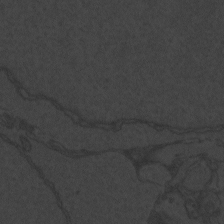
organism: Zebrafish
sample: Macrophage infected with Toxoplasma gondii